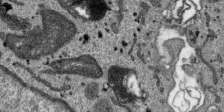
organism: Human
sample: Lung epithelial cells, uninfected (mock) control